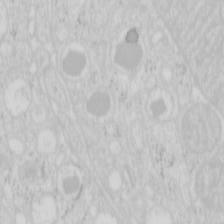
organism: Mouse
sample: Pancreas